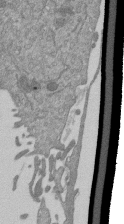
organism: Mouse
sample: ED-1 cell nuclei; centrioles